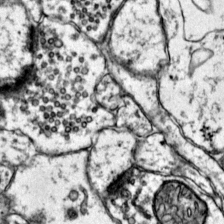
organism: Mouse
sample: Primary visual cortex